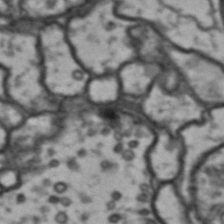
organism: Drosophila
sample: Brain